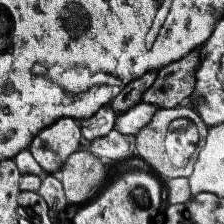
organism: Human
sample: Temporal Lobe